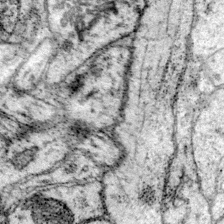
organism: Mouse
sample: Primary visual cortex